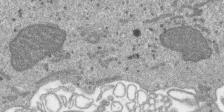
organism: Human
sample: Lung epithelial cells infected with SARS-CoV-2